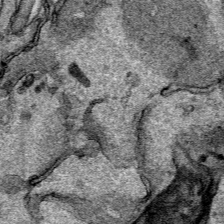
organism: Human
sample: Mitochondria in HCT116 cells